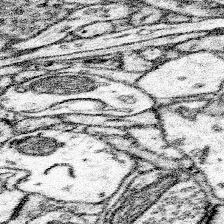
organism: Mouse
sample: Somatosensory cortex neuropil